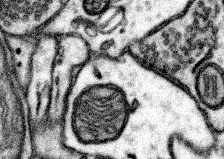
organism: Mouse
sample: Somatosensory cortex neuropil